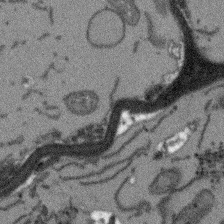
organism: Arabidopsis thaliana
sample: Root tip